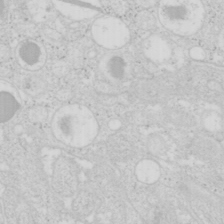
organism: Mouse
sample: Pancreas